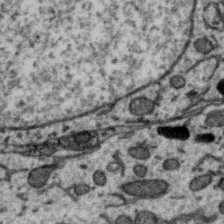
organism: Zebra finch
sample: Brain